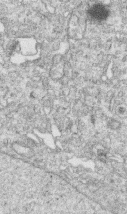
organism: Human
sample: HeLa cell HIV synapse